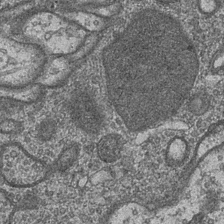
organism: Drosophila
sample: Optic medulla